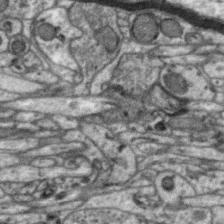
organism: Zebra finch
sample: Brain